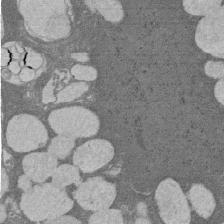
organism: Rat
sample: Salivary granule